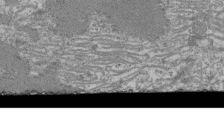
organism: Mouse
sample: Glomerulus